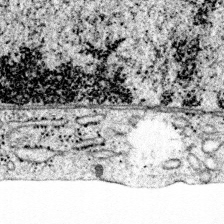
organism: Human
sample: HeLa cells